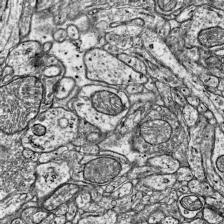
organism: Mouse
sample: Visual Cortex